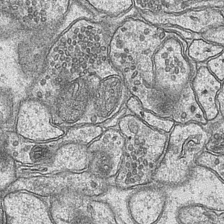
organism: Mouse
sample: CA1 Hippocampus